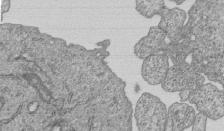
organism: Human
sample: MDA-MB-231 cells